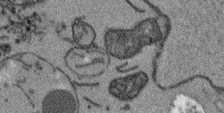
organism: Arabidopsis thaliana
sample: Root tip